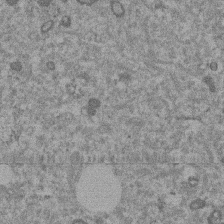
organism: Mouse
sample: Dividing mouse embryo 1 cell stage